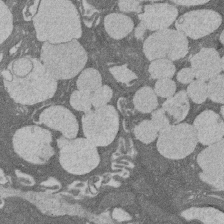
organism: Rat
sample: Salivary granule